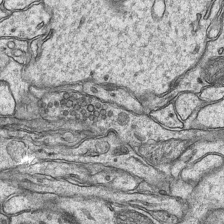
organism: Mouse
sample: CA1 Hippocampus